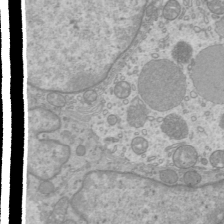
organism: Mouse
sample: Cilia; mouse epididymis